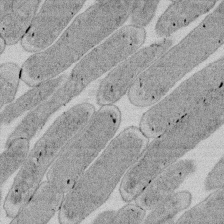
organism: E. coli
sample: Bacterial nucleoid